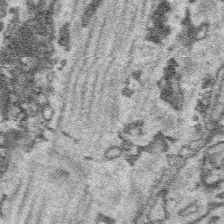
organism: Platynereis dumerilii